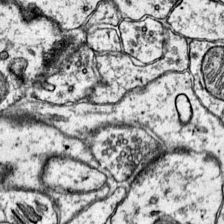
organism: Mouse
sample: Primary visual cortex